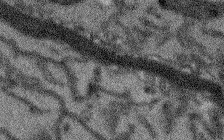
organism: Arabidopsis thaliana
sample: Root tip